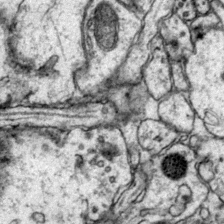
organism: Mouse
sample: Primary visual cortex